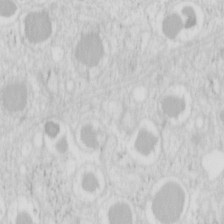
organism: Mouse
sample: Pancreas